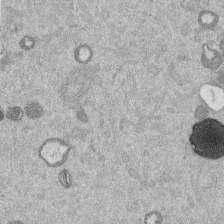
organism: Mouse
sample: Dividing mouse embryo 1 cell stage